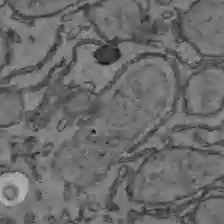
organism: C57BL Mouse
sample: Liver